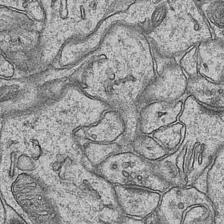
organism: Mouse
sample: CA1 Hippocampus